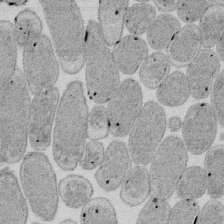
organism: E. coli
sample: Bacterial nucleoid